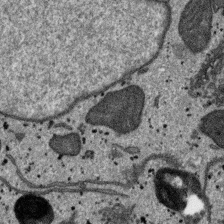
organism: Human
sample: Lung epithelial cells, uninfected (mock) control